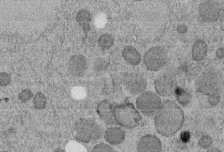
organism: C. elegans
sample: C. elegans embryo early stage